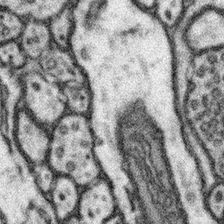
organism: Mouse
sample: Somatosensory cortex neuropil